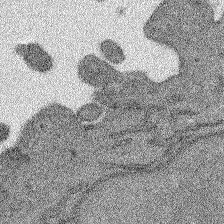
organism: Human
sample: HeLa cells